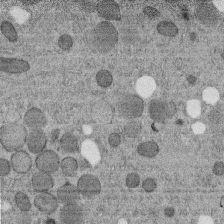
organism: C. elegans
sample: C. elegans embryo early stage